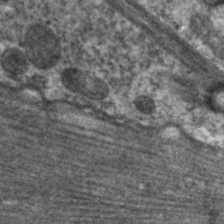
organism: C. elegans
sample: Pharynx